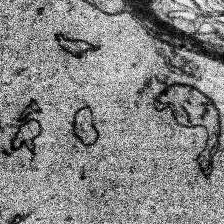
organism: Human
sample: Temporal Lobe